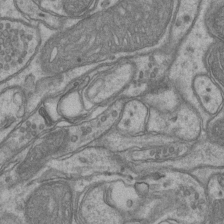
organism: Mouse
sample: CA1 Hippocampus